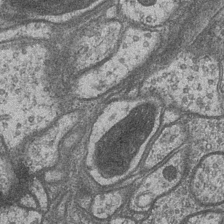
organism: Drosophila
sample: Optic medulla